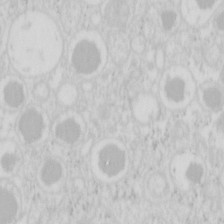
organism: Mouse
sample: Pancreas